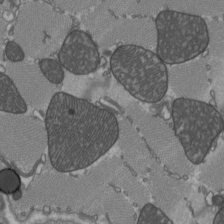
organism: C57BL Mouse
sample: Heart